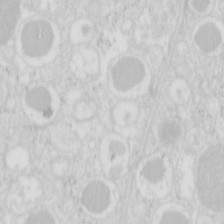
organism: Mouse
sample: Pancreas